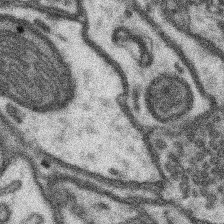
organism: Mouse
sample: Somatosensory cortex neuropil